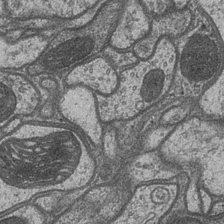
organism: Drosophila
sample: Optic medulla